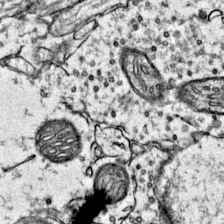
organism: Mouse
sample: Primary visual cortex